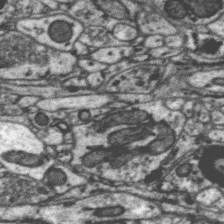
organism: Zebra finch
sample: Brain